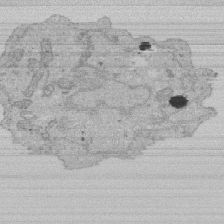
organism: Human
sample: Activated Jurkat CD4+ T cells